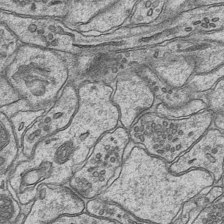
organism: Mouse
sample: CA1 Hippocampus